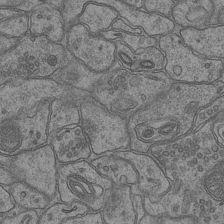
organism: Mouse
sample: CA1 Hippocampus